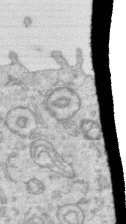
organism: Human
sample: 1205lu cells